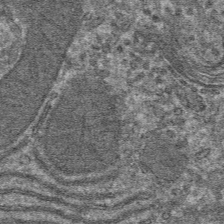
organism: Mouse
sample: Mouse hepatocytes